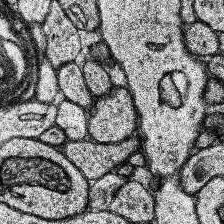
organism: Human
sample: Temporal Lobe